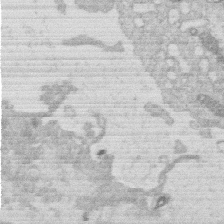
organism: Human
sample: Macrophage cells